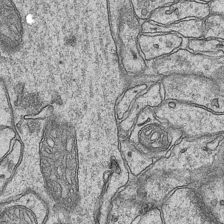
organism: Mouse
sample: CA1 Hippocampus